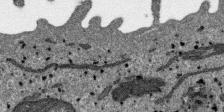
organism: Human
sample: Lung epithelial cells, uninfected (mock) control